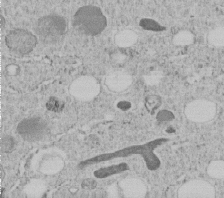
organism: C. elegans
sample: C. elegans embryo early stage